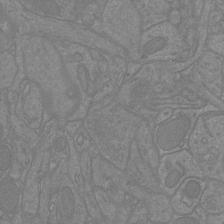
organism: Mouse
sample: Cortical neurons